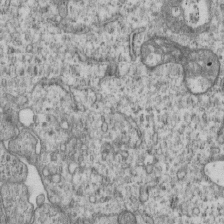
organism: Human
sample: MDA-MB-231 cells